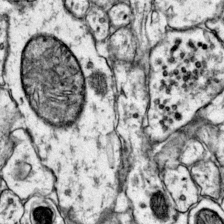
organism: Mouse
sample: Primary visual cortex